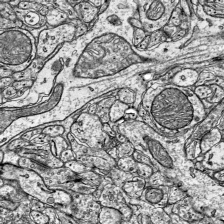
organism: Mouse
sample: Visual Cortex